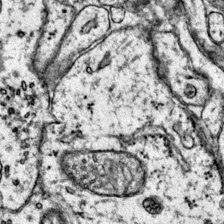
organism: Mouse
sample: Primary visual cortex